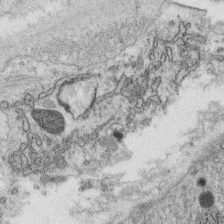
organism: C. elegans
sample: C. elegans oocyte; sperm cells